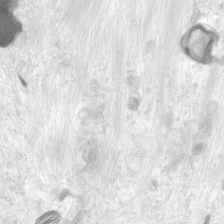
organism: Human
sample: Neocortex